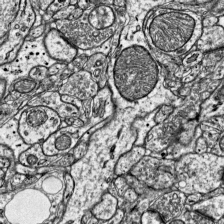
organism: Mouse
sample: Visual Cortex